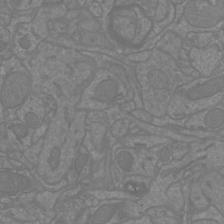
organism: Mouse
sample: Cortical neurons